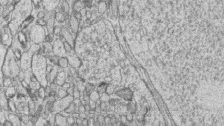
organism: Zebrafish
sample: synaptic ribbons in rod cells and cone cells